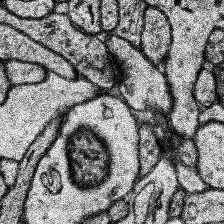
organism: Human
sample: Temporal Lobe